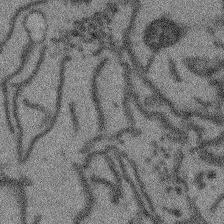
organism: Arabidopsis thaliana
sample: Root tip